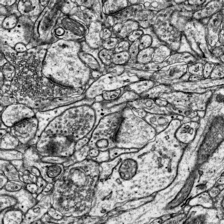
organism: Mouse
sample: Visual Cortex